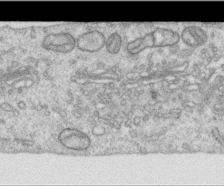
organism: Human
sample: Centriole in RPE cells